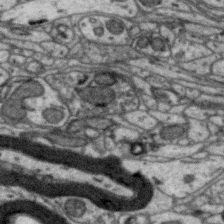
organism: Zebra finch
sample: Brain